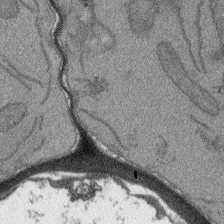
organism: Arabidopsis thaliana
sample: Root tip